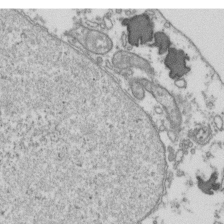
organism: Human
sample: Activated Jurkat CD4+ T cells